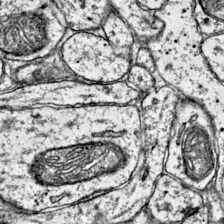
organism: Mouse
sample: Primary visual cortex